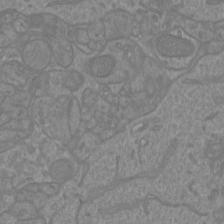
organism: Mouse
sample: Cortical neurons